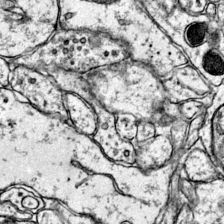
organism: Mouse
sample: Primary visual cortex